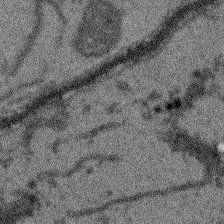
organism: Arabidopsis thaliana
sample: Root tip